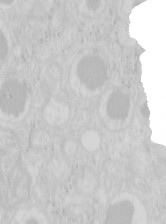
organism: Mouse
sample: Pancreas